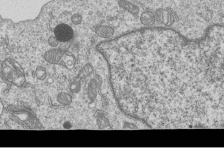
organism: Human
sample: MDA-MB-231 cells